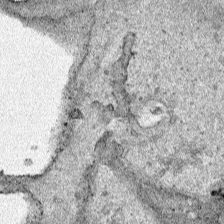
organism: Human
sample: Mitochondria in HCT116 cells